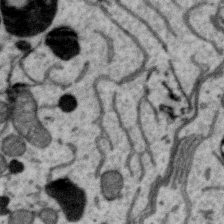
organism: Zebra finch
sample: Brain